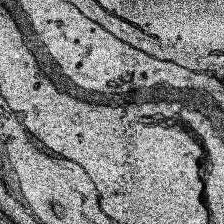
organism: Human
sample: Temporal Lobe